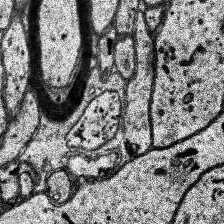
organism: Human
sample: Temporal Lobe